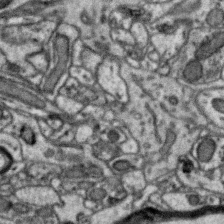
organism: Zebra finch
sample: Brain